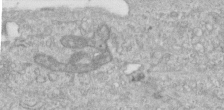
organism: Human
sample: Centriole in RPE cells